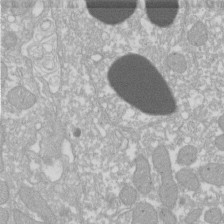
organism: Xenopus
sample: Cilia; centrioles in frog embryo cells